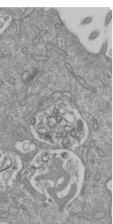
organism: Mouse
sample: ED-1 cell nuclei; centrioles